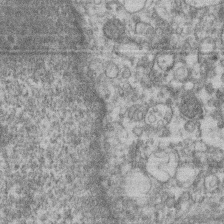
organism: Mouse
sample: T cell stromal cell synapse